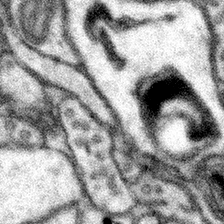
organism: Mouse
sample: Somatosensory cortex neuropil